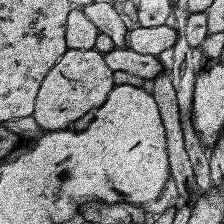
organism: Human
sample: Temporal Lobe